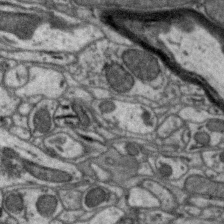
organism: Zebra finch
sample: Brain